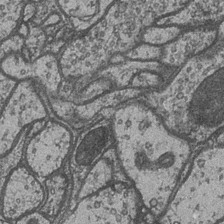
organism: Drosophila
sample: Optic medulla